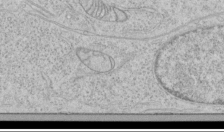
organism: Human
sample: Mitochondria in HCT116 cells